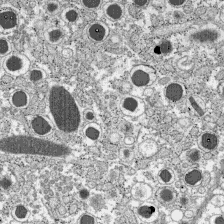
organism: C57BL Mouse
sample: Pancreatic islet